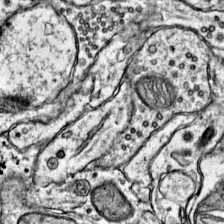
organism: Mouse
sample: Primary visual cortex